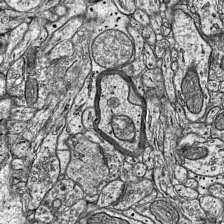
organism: Mouse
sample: Visual Cortex